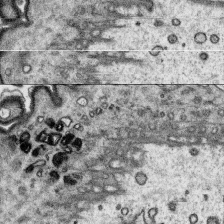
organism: Platynereis dumerilii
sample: Parapodia